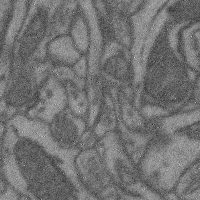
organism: Mouse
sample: Cerebral cortex